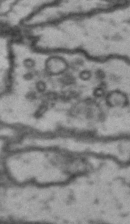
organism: Drosophila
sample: Brain